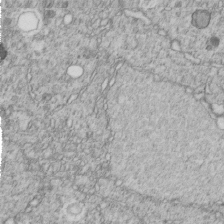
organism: C. elegans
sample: C. elegans embryo early stage